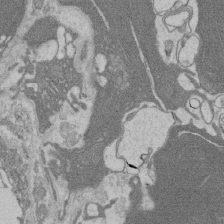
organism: Rat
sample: Salivary granule